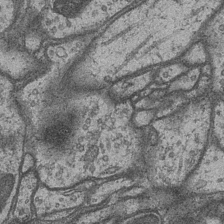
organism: Drosophila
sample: Optic medulla